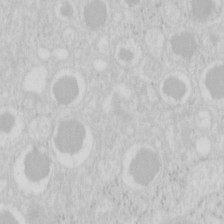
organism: Mouse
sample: Pancreas